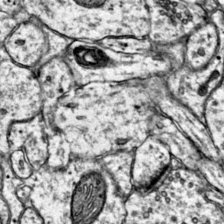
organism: Mouse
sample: Primary visual cortex